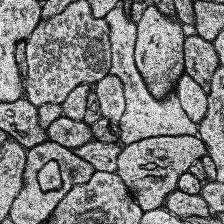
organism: Human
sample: Temporal Lobe